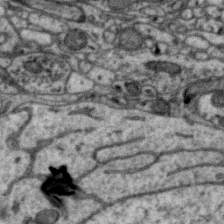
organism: Zebra finch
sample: Brain